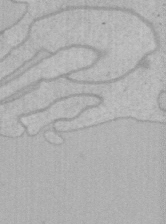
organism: Human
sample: HeLa cells